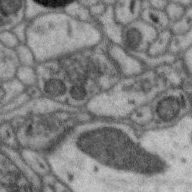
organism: Zebra finch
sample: Brain